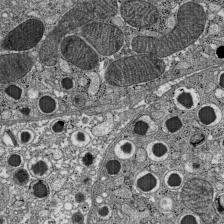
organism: C57BL Mouse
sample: Pancreatic islet